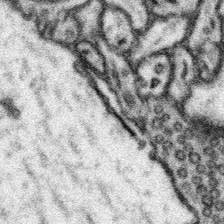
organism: Mouse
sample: Somatosensory cortex neuropil